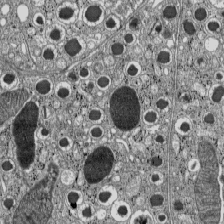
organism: C57BL Mouse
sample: Pancreatic islet